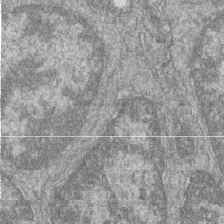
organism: Zebrafish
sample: Cilia; retinal pigment epithelium